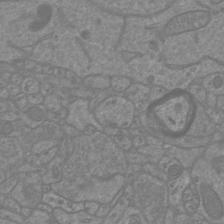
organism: Mouse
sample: Cortical neurons